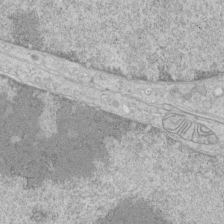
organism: Human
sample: Mitochondria in HCT116 cells